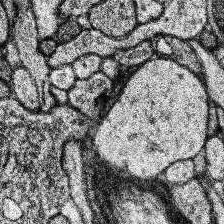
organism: Human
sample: Temporal Lobe